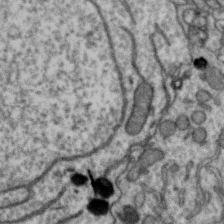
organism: Zebra finch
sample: Brain